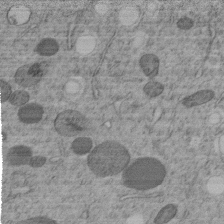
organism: C. elegans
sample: C. elegans embryo early stage